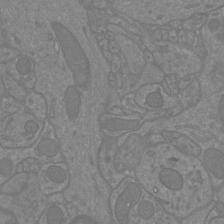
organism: Mouse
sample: Cortical neurons